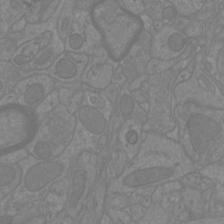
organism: Mouse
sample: Cortical neurons